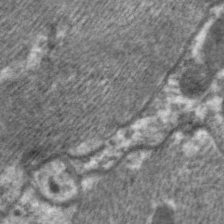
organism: C. elegans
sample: Pharynx